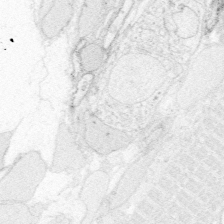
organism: Zebrafish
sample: Whole-Brain